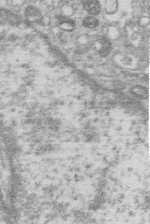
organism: Human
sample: Macrophage cells